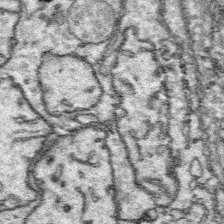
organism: Platynereis dumerilii